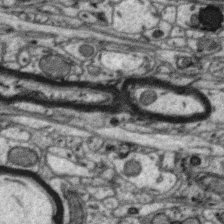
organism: Zebra finch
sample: Brain